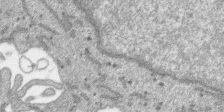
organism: Human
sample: Lung epithelial cells infected with SARS-CoV-2